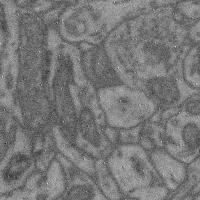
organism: Mouse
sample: Cerebral cortex